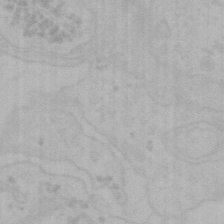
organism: Mouse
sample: Choroid plexus